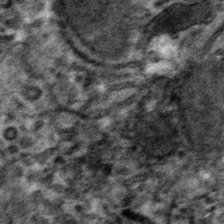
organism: Mouse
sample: Mouse hepatocytes